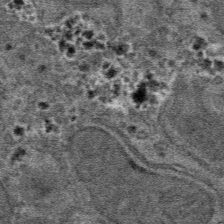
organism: Mouse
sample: Mouse hepatocytes